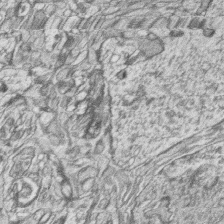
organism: Zebrafish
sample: synaptic ribbons in rod cells and cone cells